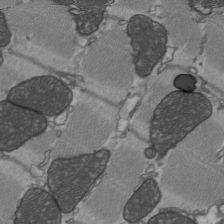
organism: C57BL Mouse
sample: Heart